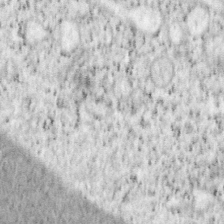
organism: Mouse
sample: OT-I killer T cells with ID8 ovarian cancer cells